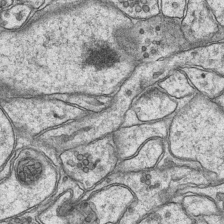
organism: Mouse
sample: CA1 Hippocampus